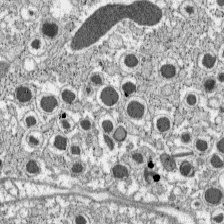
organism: C57BL Mouse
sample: Pancreatic islet